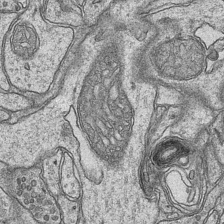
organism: Mouse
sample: CA1 Hippocampus